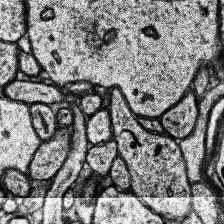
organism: Human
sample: Temporal Lobe